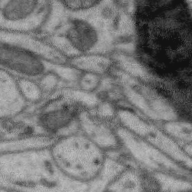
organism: Zebra finch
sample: Brain